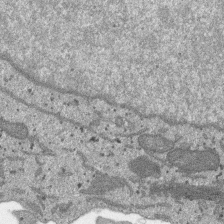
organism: Human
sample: Lung epithelial cells infected with SARS-CoV-2